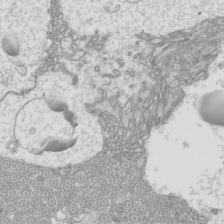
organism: Mouse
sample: Cilia; mouse epididymis